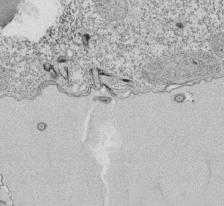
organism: Tetrahymena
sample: Cilia in tetrahymena